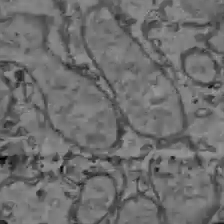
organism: C57BL Mouse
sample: Liver